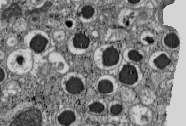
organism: C57BL Mouse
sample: Pancreatic islet